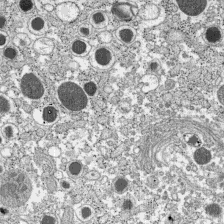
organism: C57BL Mouse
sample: Pancreatic islet